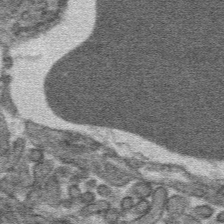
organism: Mouse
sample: Mouse hepatocytes